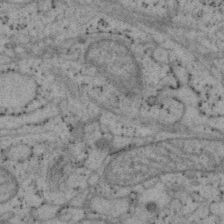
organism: Human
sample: HeLa cells